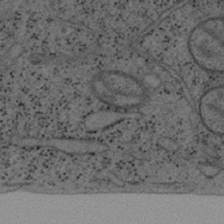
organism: Human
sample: HeLa cells